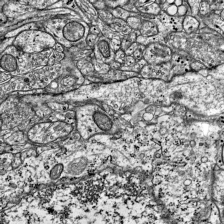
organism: Mouse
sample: Visual Cortex